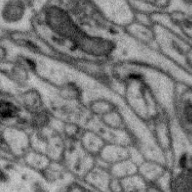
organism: Zebra finch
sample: Brain